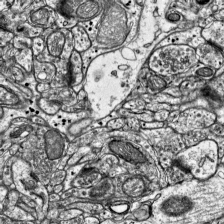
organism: Mouse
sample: Visual Cortex